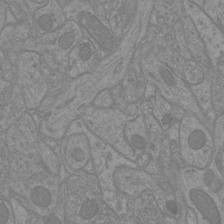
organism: Mouse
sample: Cortical neurons